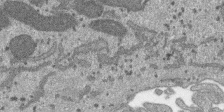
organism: Human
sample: Lung epithelial cells infected with SARS-CoV-2